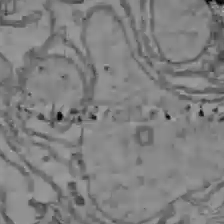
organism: C57BL Mouse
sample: Liver